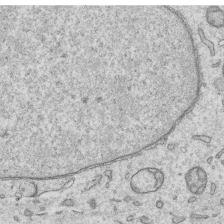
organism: Human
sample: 1205lu cells